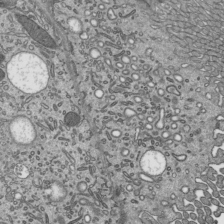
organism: Mouse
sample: Mouse epididymis efferent ductule cilia